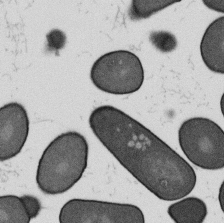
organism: B. subtilis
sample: Bacterial spore